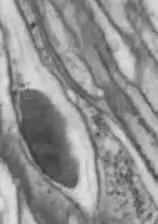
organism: Drosophila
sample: Optic lobe